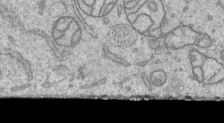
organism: Human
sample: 1205lu cells